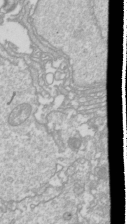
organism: Drosophila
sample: Cell division; meiosis; drosophila spermatocytes